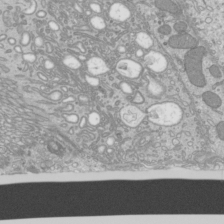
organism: Mouse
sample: Cilia; mouse epididymis